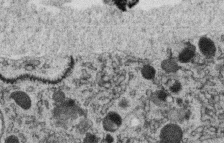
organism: C. elegans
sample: C. elegans oocyte; sperm cells